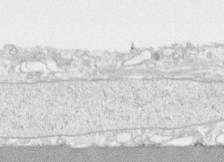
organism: Human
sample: CRL-1474